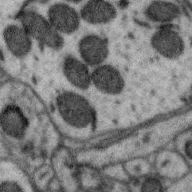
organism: Zebra finch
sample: Brain